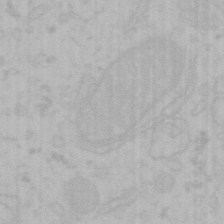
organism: Mouse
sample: Choroid plexus